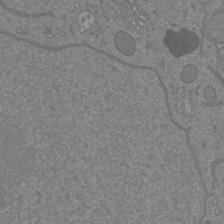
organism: Mouse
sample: Cortical neurons